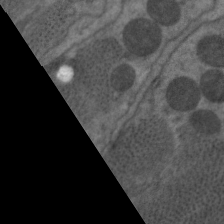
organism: C. elegans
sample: Pharynx